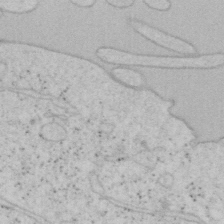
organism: Human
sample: HeLa cells